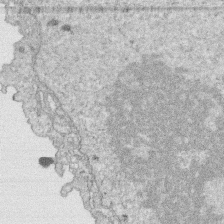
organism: Human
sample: HeLa cell HIV synapse